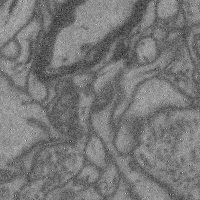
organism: Mouse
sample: Cerebral cortex